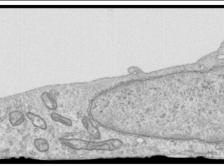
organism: Human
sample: Centriole in RPE cells